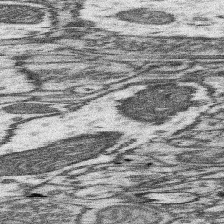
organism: Mouse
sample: Somatosensory cortex neuropil